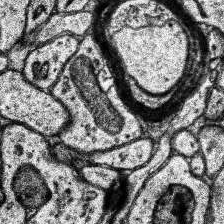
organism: Human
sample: Temporal Lobe